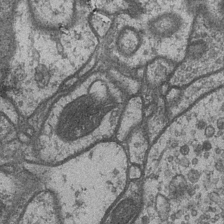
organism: Drosophila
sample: Optic medulla